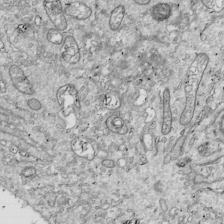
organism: Drosophila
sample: Cell division; meiosis; drosophila spermatocytes